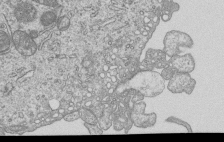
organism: Human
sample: MDA-MB-231 cells